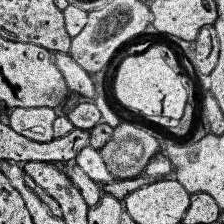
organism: Human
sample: Temporal Lobe